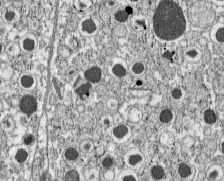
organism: C57BL Mouse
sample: Pancreatic islet